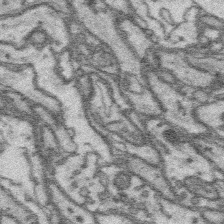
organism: Platynereis dumerilii